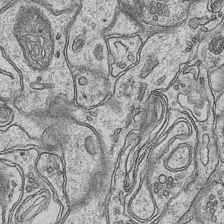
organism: Mouse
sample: CA1 Hippocampus